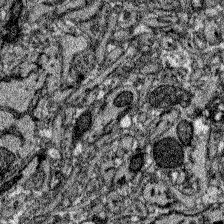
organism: Zebrafish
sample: Larval olfactory bulb